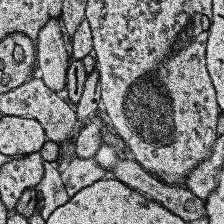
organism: Human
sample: Temporal Lobe